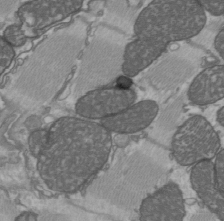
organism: C57BL Mouse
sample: Heart